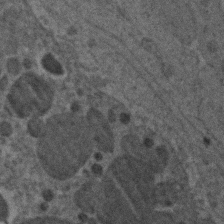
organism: Zebrafish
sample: Zebrafish embryo